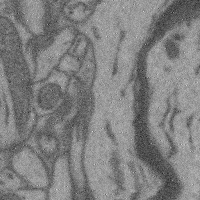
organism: Mouse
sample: Cerebral cortex